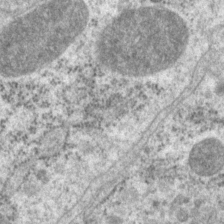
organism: P. pacificus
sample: Pharynx